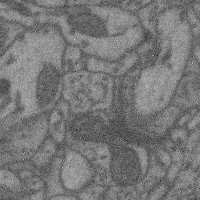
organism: Mouse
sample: Cerebral cortex